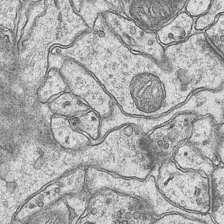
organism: Mouse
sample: CA1 Hippocampus